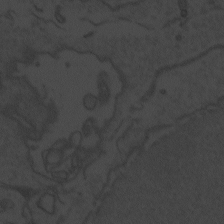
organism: Zebrafish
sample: Macrophage infected with Toxoplasma gondii